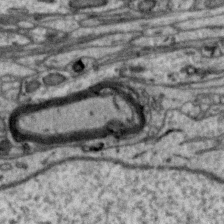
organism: Zebra finch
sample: Brain